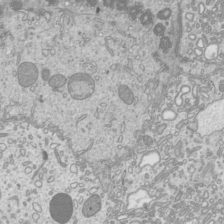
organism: Mouse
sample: Cilia; mouse epididymis